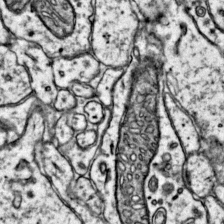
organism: Mouse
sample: Primary visual cortex